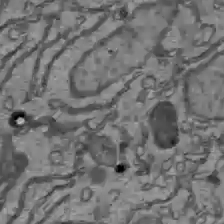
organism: C57BL Mouse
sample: Liver